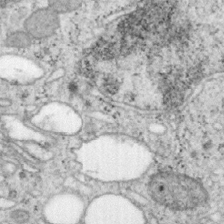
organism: Mouse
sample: OT-I killer T cells with ID8 ovarian cancer cells